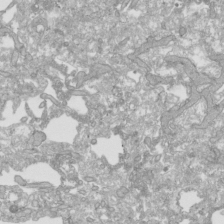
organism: Human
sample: Mitochondria in HCT116 cells